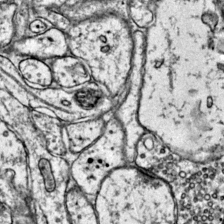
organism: Mouse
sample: Primary visual cortex